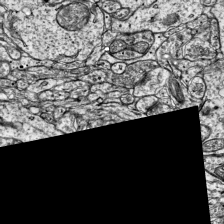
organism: Mouse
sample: Visual Cortex